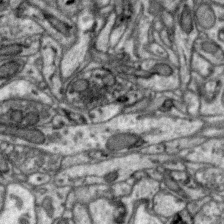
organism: Zebra finch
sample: Brain